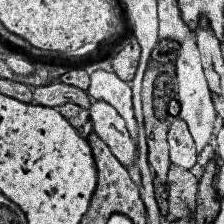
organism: Human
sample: Temporal Lobe